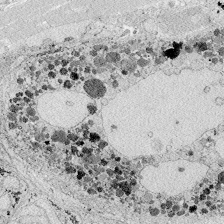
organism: Zebrafish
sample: Whole-Brain